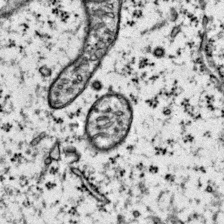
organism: Mouse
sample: Primary visual cortex